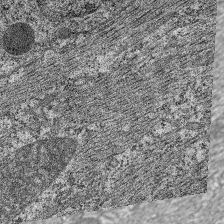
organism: C. elegans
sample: Pharynx